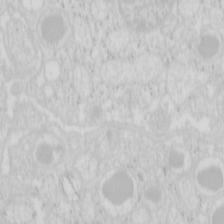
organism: Mouse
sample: Pancreas